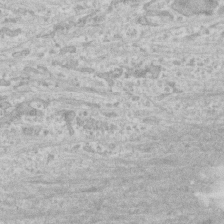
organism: Human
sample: CRL-1474